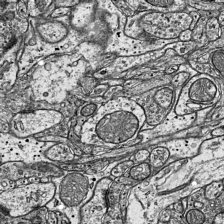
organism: Mouse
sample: Visual Cortex